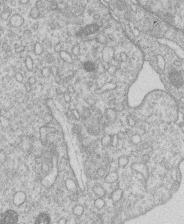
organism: Human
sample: Macrophage cells